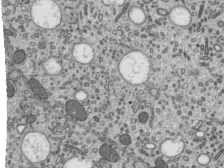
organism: Mouse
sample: Mouse epididymis efferent ductule cilia